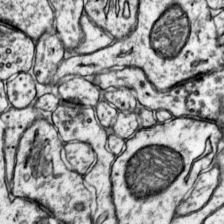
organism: Mouse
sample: Primary visual cortex